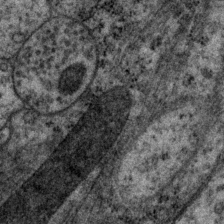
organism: P. pacificus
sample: Pharynx